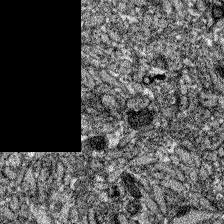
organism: Zebrafish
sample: Larval olfactory bulb